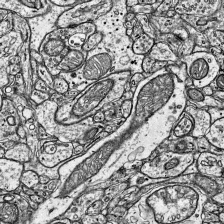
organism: Mouse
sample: Visual Cortex